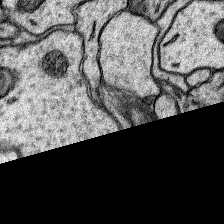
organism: Rat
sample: Hippocampus